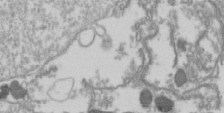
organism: Drosophila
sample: Cell division; meiosis; drosophila spermatocytes